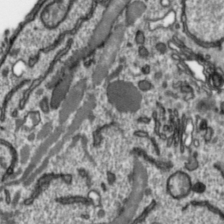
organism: Toxoplasma gondii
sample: Parasites in a vacuole inside a host cell